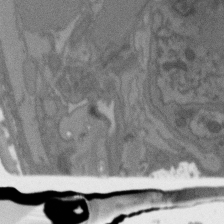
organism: C. elegans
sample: AFD neurons C. elegans